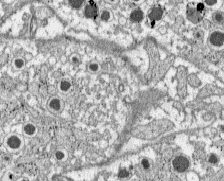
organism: C57BL Mouse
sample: Pancreatic islet